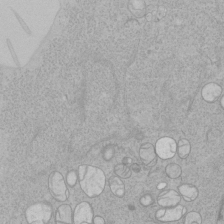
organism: Human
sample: Mitochondria in HCT116 cells